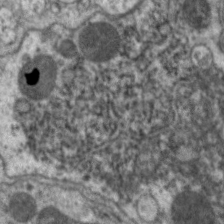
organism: C. elegans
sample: Pharynx